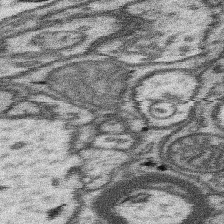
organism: Mouse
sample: Somatosensory cortex neuropil